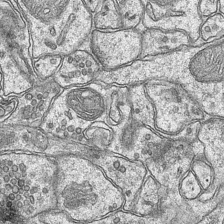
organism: Mouse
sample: CA1 Hippocampus